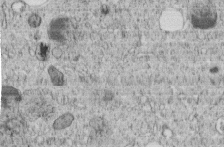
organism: C. elegans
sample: C. elegans embryo early stage